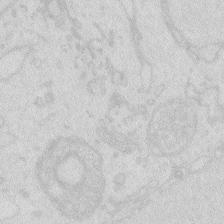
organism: Zebrafish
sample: Macrophage